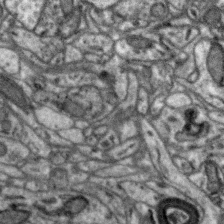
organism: Zebra finch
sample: Brain